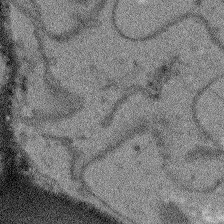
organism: Arabidopsis thaliana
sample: Root tip